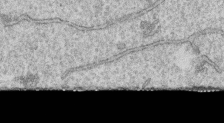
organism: Human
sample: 1205lu cells